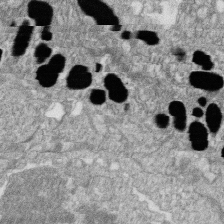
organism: Zebrafish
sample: Cilia; retinal pigment epithelium